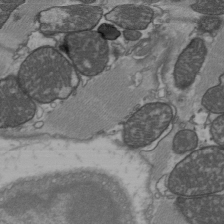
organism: C57BL Mouse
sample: Heart